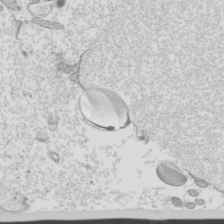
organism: Mouse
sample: Cilia; mouse epididymis